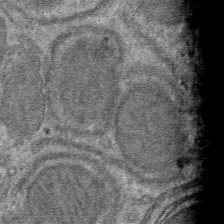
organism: Mouse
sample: Mouse hepatocytes